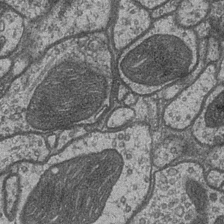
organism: Drosophila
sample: Optic medulla